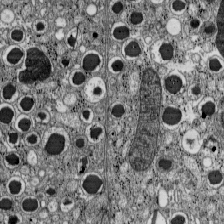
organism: C57BL Mouse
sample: Pancreatic islet